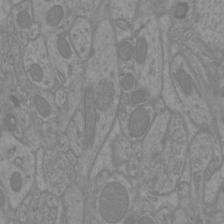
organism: Mouse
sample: Cortical neurons